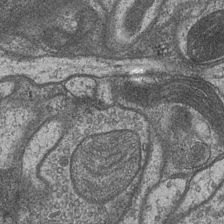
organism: Drosophila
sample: Optic medulla